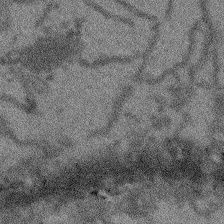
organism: Arabidopsis thaliana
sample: Root tip